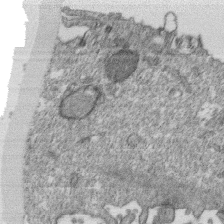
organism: African green monkey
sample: Vero E6 cells infected with SARS-CoV-2